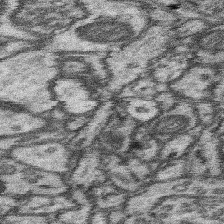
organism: Mouse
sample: Somatosensory cortex neuropil